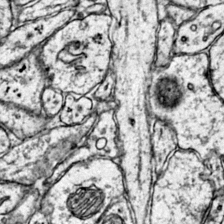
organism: Mouse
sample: Primary visual cortex